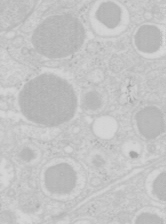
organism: Mouse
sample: Pancreas